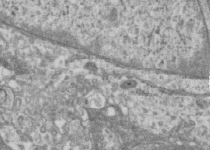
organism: Human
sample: Centriole in RPE cells